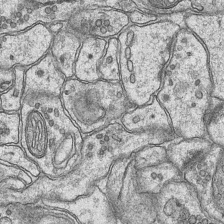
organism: Mouse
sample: CA1 Hippocampus